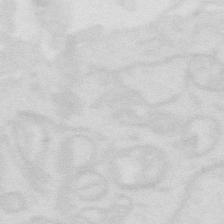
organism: Human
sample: HeLa cells